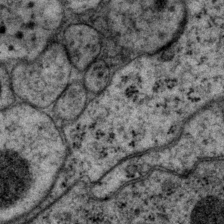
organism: P. pacificus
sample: Pharynx